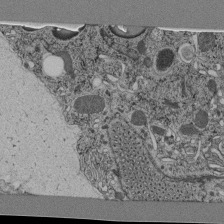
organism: C. elegans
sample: C. elegans pharynx